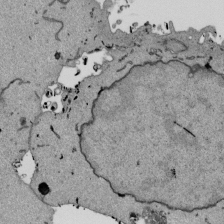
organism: Mouse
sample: ED-1 cell nuclei; centrioles